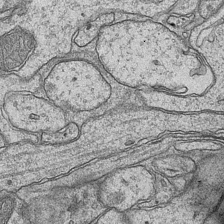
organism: Mouse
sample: CA1 Hippocampus